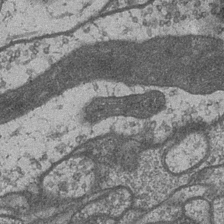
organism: Drosophila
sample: Optic medulla